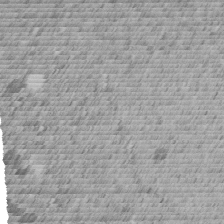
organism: C. elegans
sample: C. elegans embryo early stage